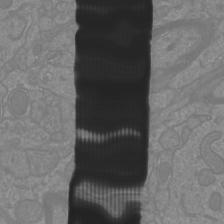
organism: Mouse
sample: Cortical neurons